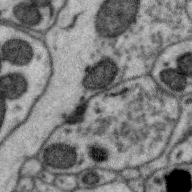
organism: Zebra finch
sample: Brain